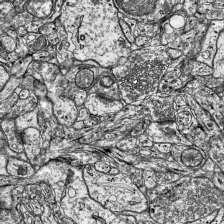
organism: Mouse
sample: Visual Cortex